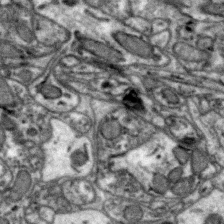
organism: Zebra finch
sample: Brain